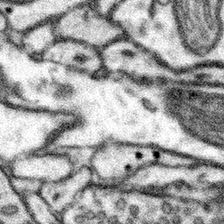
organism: Mouse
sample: Somatosensory cortex neuropil